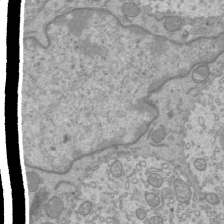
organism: Mouse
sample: Cilia; mouse epididymis